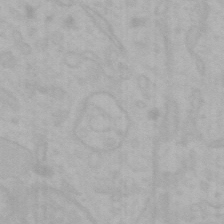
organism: Mouse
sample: Choroid plexus